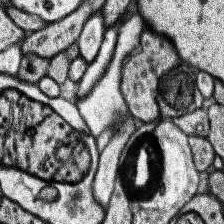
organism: Human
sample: Temporal Lobe